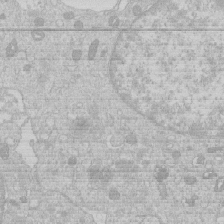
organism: Human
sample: Macrophage cells